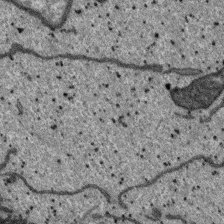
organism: Human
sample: Lung epithelial cells, uninfected (mock) control